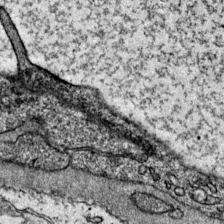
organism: Mouse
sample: Primary visual cortex